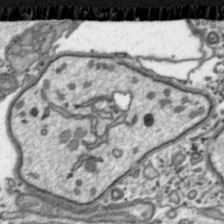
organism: Toxoplasma gondii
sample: Parasites in a vacuole inside a host cell